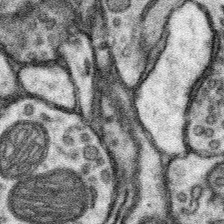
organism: Mouse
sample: Somatosensory cortex neuropil